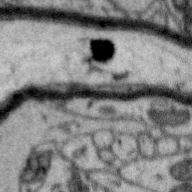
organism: Zebra finch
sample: Brain